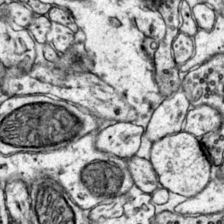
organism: Mouse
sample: Primary visual cortex